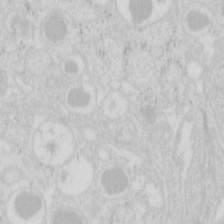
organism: Mouse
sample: Pancreas